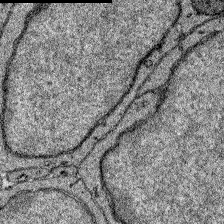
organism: Zebrafish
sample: Larval olfactory bulb